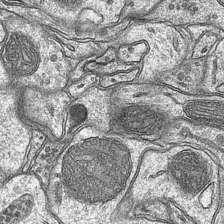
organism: Mouse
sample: CA1 Hippocampus